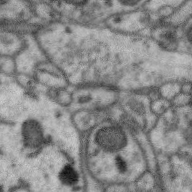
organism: Zebra finch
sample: Brain